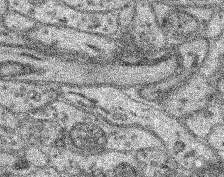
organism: Mouse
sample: Retina